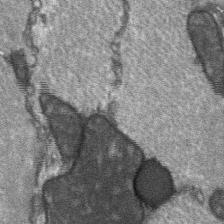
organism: C57BL Mouse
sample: Soleus